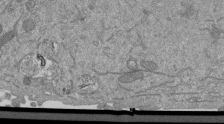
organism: Mouse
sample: ED-1 cell nuclei; centrioles